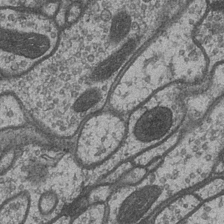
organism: Drosophila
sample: Optic medulla